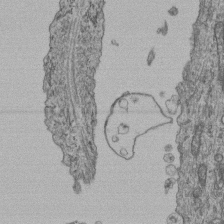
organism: Human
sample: Retinal organoid Rod and Cone cells